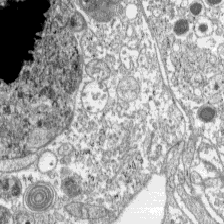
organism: C57BL Mouse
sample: Pancreatic islet